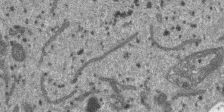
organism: Human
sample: Lung epithelial cells infected with SARS-CoV-2